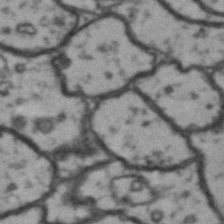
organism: Drosophila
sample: Brain